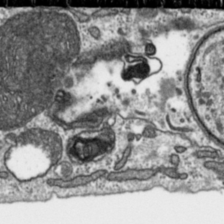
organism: Toxoplasma gondii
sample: Parasites in a vacuole inside a host cell